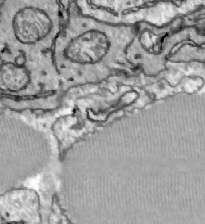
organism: Zebrafish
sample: Actinotrichia fibers